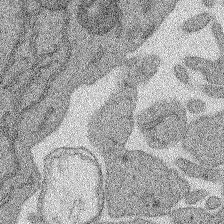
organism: Human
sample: HeLa cells